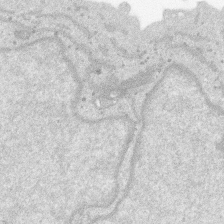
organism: Human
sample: Lung epithelial cells infected with SARS-CoV-2